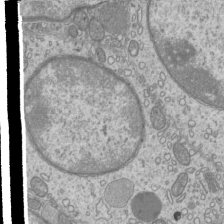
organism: Mouse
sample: Cilia; mouse epididymis